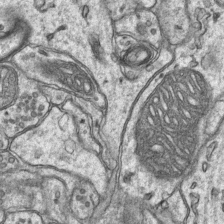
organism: Mouse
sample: CA1 Hippocampus